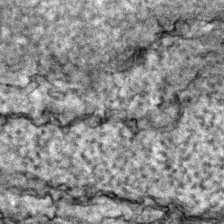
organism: Zebrafish